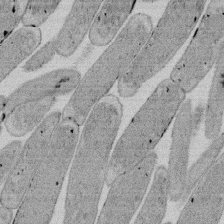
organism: E. coli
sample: Bacterial nucleoid